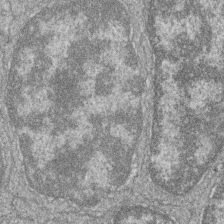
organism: Zebrafish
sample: Cilia; retinal pigment epithelium